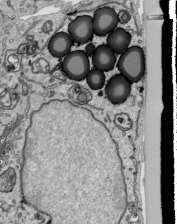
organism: Human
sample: Mitochondria in HCT116 cells